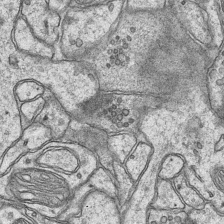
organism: Mouse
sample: CA1 Hippocampus